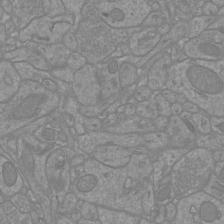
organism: Mouse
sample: Cortical neurons